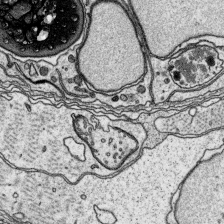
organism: Platynereis dumerilii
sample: Parapodia